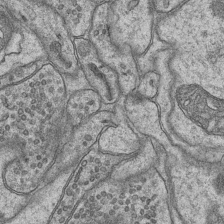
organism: Mouse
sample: CA1 Hippocampus